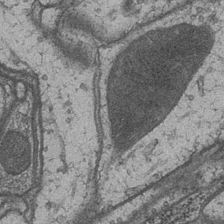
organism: Drosophila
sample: Optic medulla